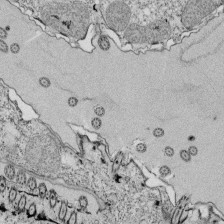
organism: Tetrahymena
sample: Cilia in tetrahymena